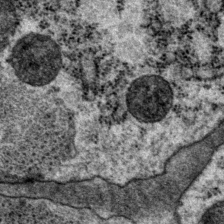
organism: P. pacificus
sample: Pharynx